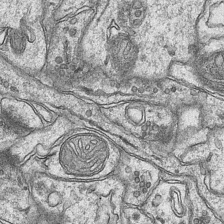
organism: Mouse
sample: CA1 Hippocampus